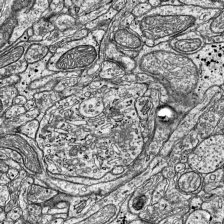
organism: Mouse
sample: Visual Cortex